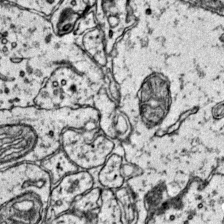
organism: Mouse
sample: Primary visual cortex